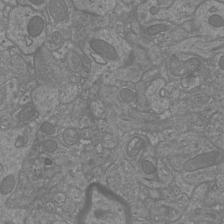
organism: Mouse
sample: Cortical neurons